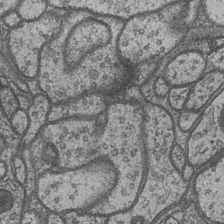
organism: Drosophila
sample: Optic medulla